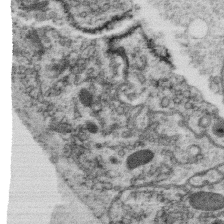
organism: C. elegans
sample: C. elegans oocyte; sperm cells